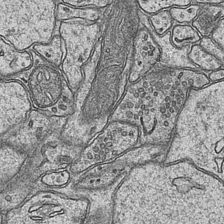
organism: Mouse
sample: CA1 Hippocampus